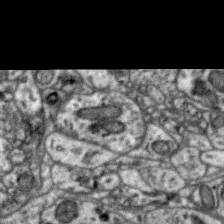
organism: Zebra finch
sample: Brain